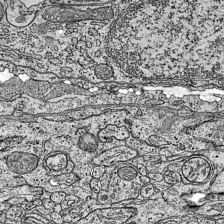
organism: Mouse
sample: Visual Cortex